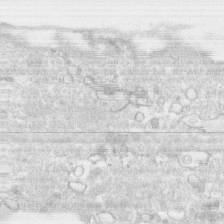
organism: Human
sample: CRL-1474